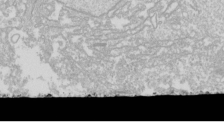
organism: Drosophila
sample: Cell division; meiosis; drosophila spermatocytes